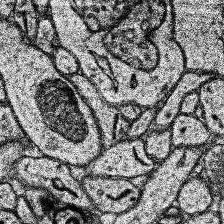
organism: Human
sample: Temporal Lobe